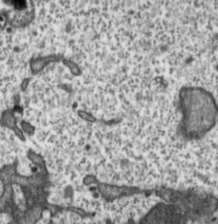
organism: Toxoplasma gondii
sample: Parasites in a vacuole inside a host cell